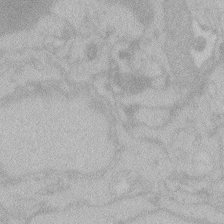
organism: Zebrafish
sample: Macrophage infected with Toxoplasma gondii